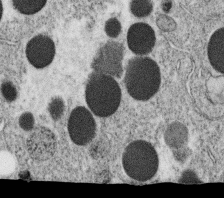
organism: C. elegans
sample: C. elegans oocyte; sperm cells